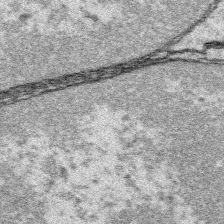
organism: Platynereis dumerilii